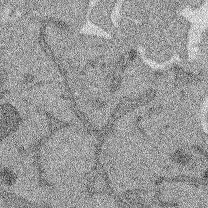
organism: Human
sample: HeLa cells